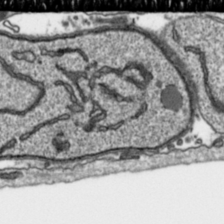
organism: Toxoplasma gondii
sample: Parasites in a vacuole inside a host cell